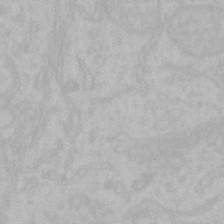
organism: Mouse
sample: Choroid plexus